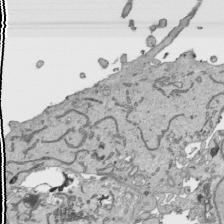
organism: Human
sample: Mitochondria in HCT116 cells